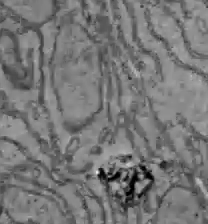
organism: C57BL Mouse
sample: Liver